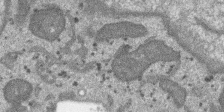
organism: Human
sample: Lung epithelial cells infected with SARS-CoV-2